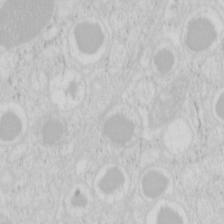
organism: Mouse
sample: Pancreas